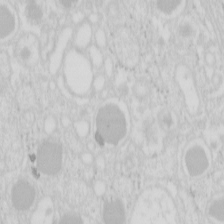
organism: Mouse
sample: Pancreas